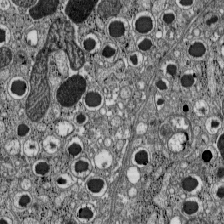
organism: C57BL Mouse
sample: Pancreatic islet